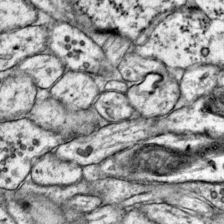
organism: Mouse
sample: Primary visual cortex